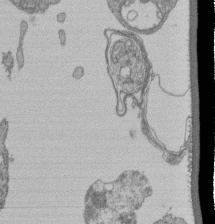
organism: Human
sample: Retinal organoid Rod and Cone cells